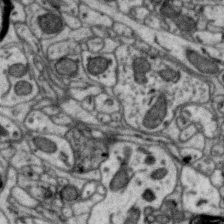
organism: Zebra finch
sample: Brain